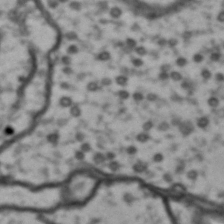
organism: Drosophila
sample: Brain